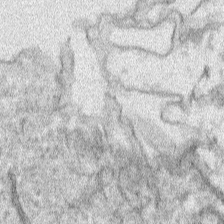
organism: Human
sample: Mitochondria in HCT116 cells